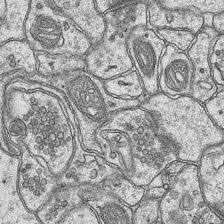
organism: Mouse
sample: CA1 Hippocampus